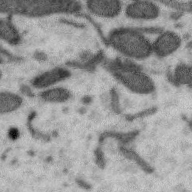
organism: Zebra finch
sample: Brain